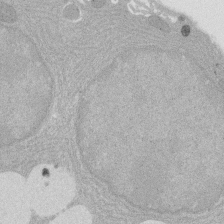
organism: Rat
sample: Salivary granule